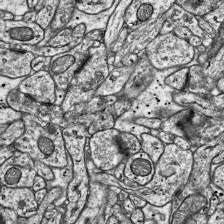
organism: Mouse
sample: Visual Cortex